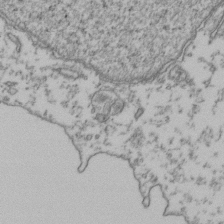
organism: Human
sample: Activated Jurkat CD4+ T cells